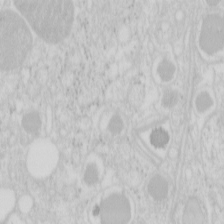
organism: Mouse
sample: Pancreas